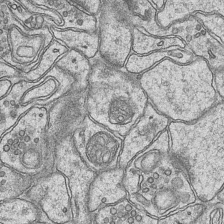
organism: Mouse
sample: CA1 Hippocampus